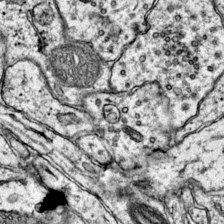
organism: Mouse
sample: Primary visual cortex